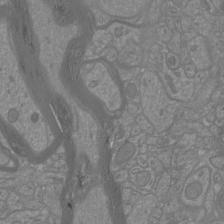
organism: Mouse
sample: Cortical neurons